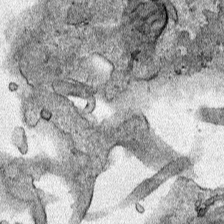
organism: Human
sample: Mitochondria in HCT116 cells